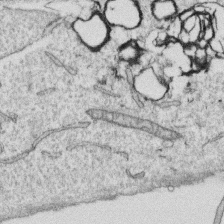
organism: Human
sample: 1205lu cells